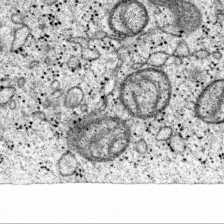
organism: Human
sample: HeLa cells